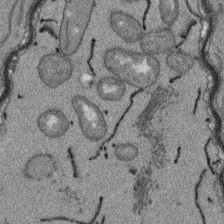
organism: Arabidopsis thaliana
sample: Root tip